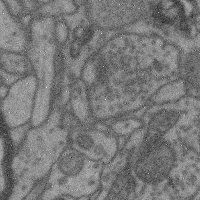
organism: Mouse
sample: Cerebral cortex